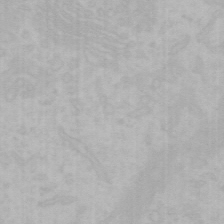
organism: Mouse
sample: Choroid plexus